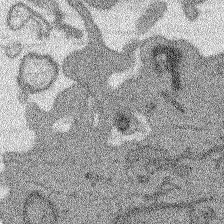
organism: Human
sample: HeLa cells